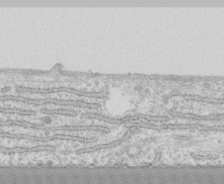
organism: Human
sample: CRL-1474